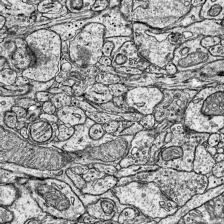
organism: Mouse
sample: Visual Cortex